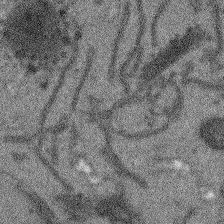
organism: Arabidopsis thaliana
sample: Root tip